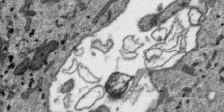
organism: Human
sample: Lung epithelial cells, uninfected (mock) control